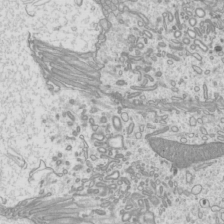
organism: Mouse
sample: Cilia; mouse epididymis